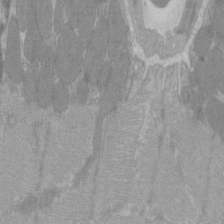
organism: C57BL Mouse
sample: Tibialis anterior muscle cell